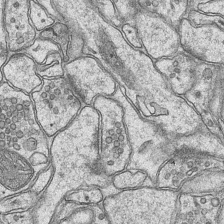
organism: Mouse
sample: CA1 Hippocampus